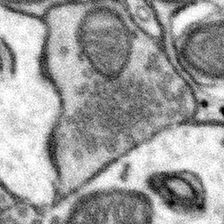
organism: Mouse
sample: Somatosensory cortex neuropil